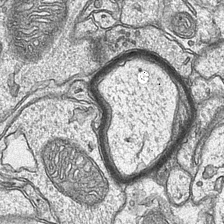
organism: Mouse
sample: CA1 Hippocampus